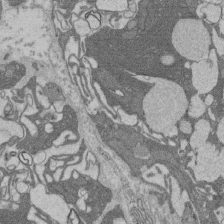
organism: Rat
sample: Salivary granule